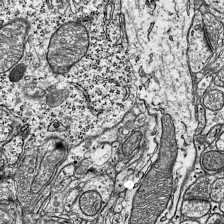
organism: Mouse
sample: Visual Cortex